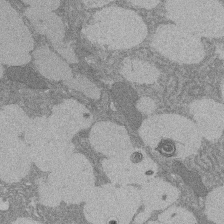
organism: Rat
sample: Salivary granule